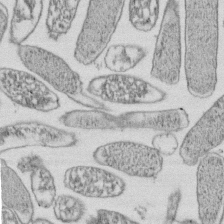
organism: E. coli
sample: Bacterial nucleoid